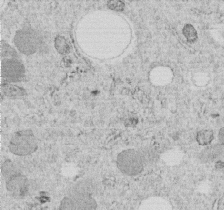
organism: C. elegans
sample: C. elegans embryo early stage